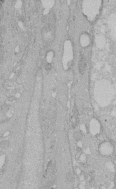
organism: Human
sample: Melanocyte Keratinocyte synapse skin construct